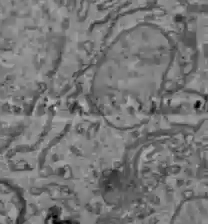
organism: C57BL Mouse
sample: Liver